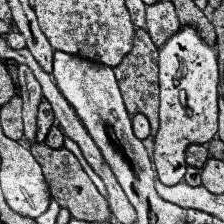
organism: Human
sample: Temporal Lobe